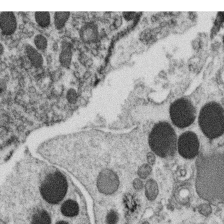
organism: C. elegans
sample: C. elegans oocyte; sperm cells